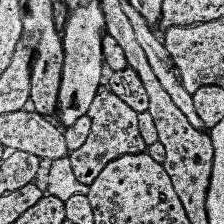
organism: Human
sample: Temporal Lobe